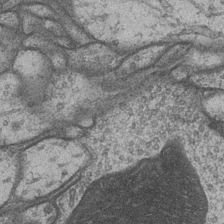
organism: Drosophila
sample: Optic medulla